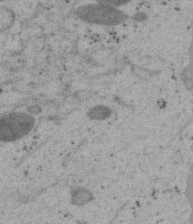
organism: Human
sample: HeLa cells